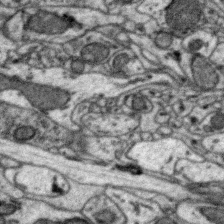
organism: Zebra finch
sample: Brain